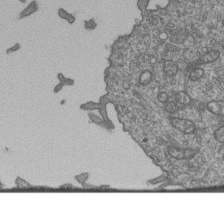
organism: Human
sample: Retinal organoid Rod and Cone cells